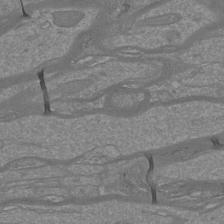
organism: Mouse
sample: Cortical neurons